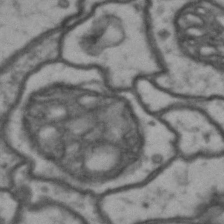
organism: Drosophila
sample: Brain